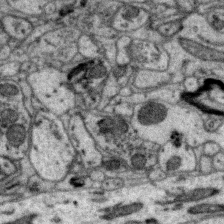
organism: Zebra finch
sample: Brain